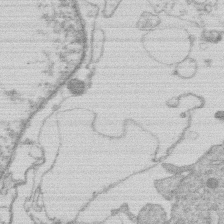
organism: Human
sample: Macrophage cells